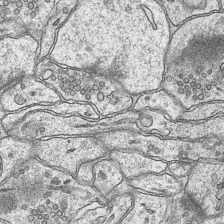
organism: Mouse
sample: CA1 Hippocampus